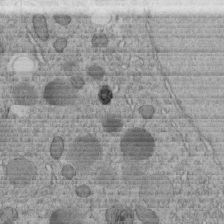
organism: C. elegans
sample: C. elegans embryo early stage